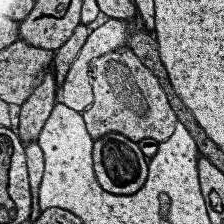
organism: Human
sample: Temporal Lobe